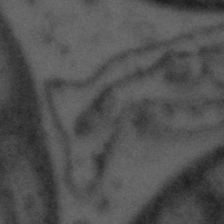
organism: Tuwongella immobilis